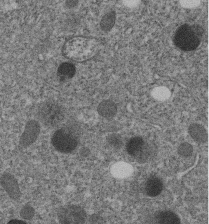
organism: C. elegans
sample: C. elegans embryo early stage